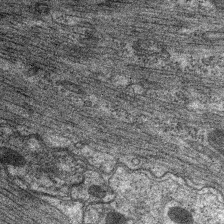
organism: C. elegans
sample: Pharynx